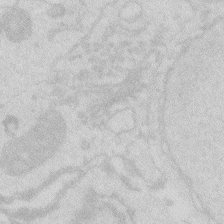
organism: Zebrafish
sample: Macrophage